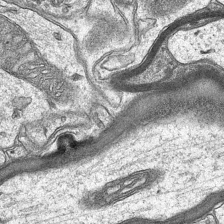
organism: Mouse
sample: CA1 Hippocampus